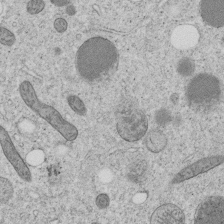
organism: C. elegans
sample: C. elegans embryo early stage